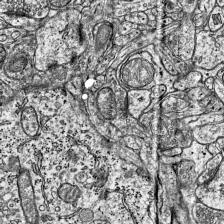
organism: Mouse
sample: Visual Cortex